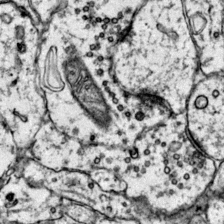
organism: Mouse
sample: Primary visual cortex